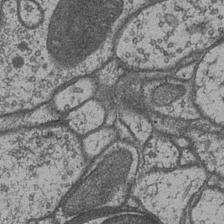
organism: Drosophila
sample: Optic medulla